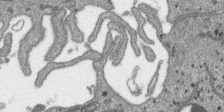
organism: Human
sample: Lung epithelial cells infected with SARS-CoV-2